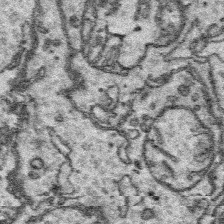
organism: Platynereis dumerilii